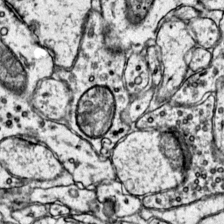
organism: Mouse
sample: Primary visual cortex